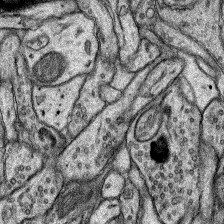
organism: Rat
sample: Hippocampus